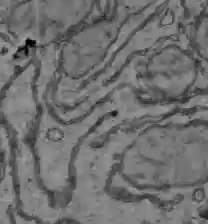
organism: C57BL Mouse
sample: Liver